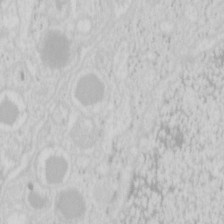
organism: Mouse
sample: Pancreas